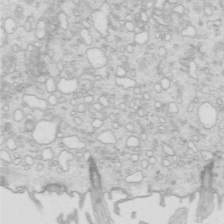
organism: Mouse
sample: Multiciliated cells